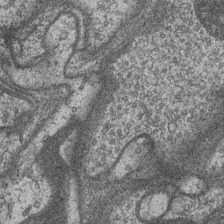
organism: Drosophila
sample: Optic medulla